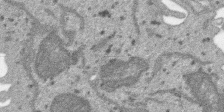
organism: Human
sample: Lung epithelial cells infected with SARS-CoV-2